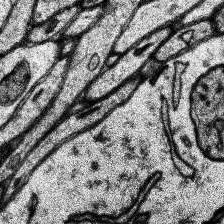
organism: Human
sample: Temporal Lobe